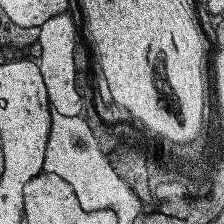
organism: Human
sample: Temporal Lobe